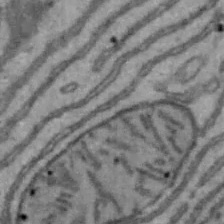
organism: Mouse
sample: Liver